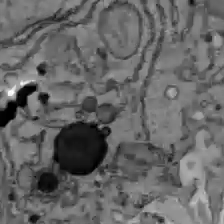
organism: C57BL Mouse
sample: Liver